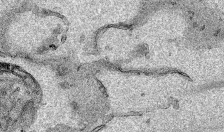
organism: Human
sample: Mitochondria in HCT116 cells